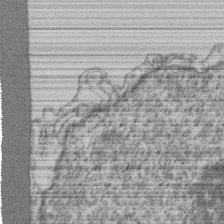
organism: Mouse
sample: T cell stromal cell synapse